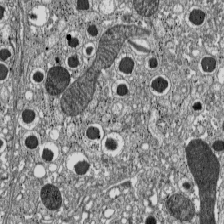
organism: C57BL Mouse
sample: Pancreatic islet